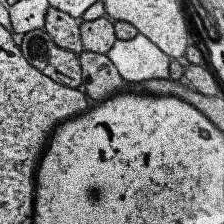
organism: Human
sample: Temporal Lobe